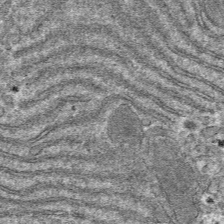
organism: Mouse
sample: Mouse hepatocytes